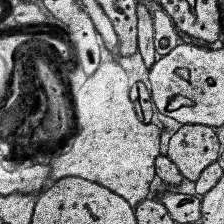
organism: Human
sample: Temporal Lobe